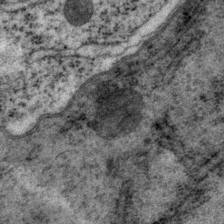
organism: P. pacificus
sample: Pharynx